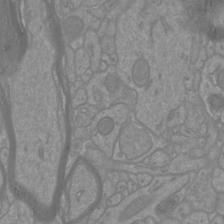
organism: Mouse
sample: Cortical neurons